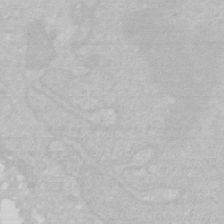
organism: Human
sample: HIV infected U937 cells